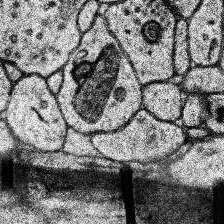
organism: Human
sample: Temporal Lobe